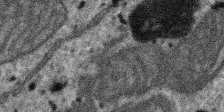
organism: Human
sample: Lung epithelial cells infected with SARS-CoV-2